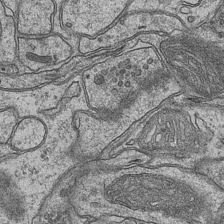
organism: Mouse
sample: CA1 Hippocampus